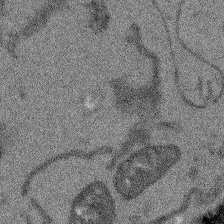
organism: Arabidopsis thaliana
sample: Root tip